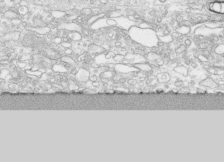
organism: Human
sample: CRL-1474